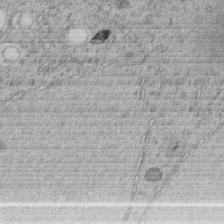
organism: C. elegans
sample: C. elegans embryo early stage